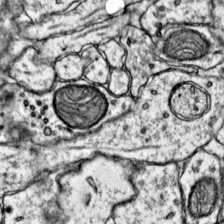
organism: Mouse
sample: Primary visual cortex